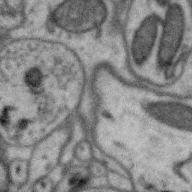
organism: Zebra finch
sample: Brain